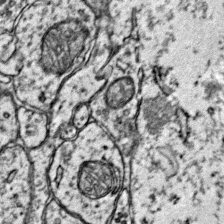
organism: Mouse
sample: Primary visual cortex